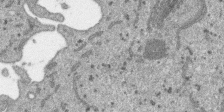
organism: Human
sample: Lung epithelial cells infected with SARS-CoV-2